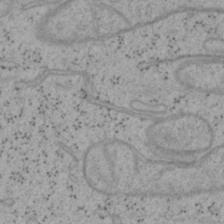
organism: Human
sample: HeLa cells